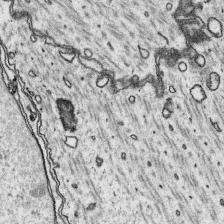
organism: Platynereis dumerilii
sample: Parapodia